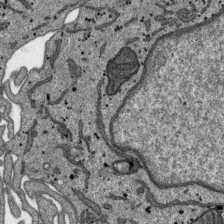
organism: Human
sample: Lung epithelial cells, uninfected (mock) control